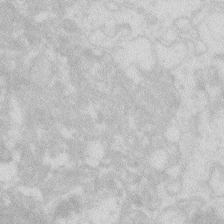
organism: Zebrafish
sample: Macrophage